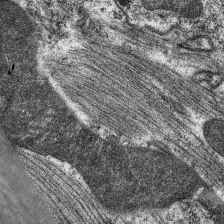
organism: C. elegans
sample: Pharynx